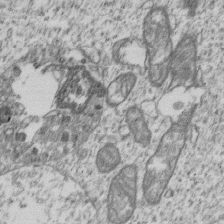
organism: Human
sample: MDA-MB-231 cells